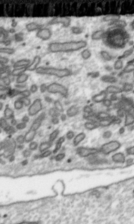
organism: Toxoplasma gondii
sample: Parasites in a vacuole inside a host cell